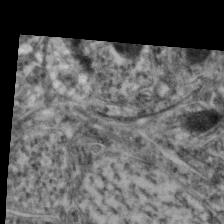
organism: Mouse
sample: Neocortex